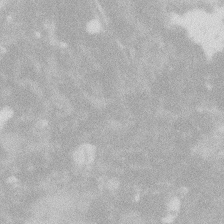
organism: Zebrafish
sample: Macrophage